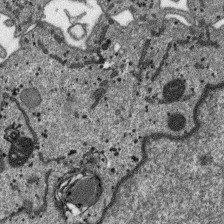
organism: Human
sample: Lung epithelial cells infected with SARS-CoV-2